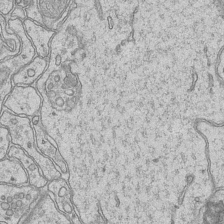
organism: Mouse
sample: CA1 Hippocampus